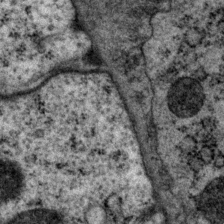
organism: P. pacificus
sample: Pharynx